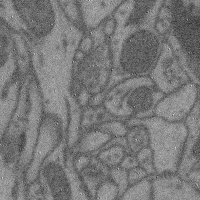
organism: Mouse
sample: Cerebral cortex